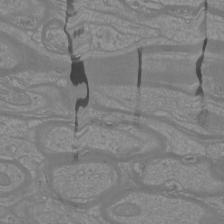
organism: Mouse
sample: Cortical neurons